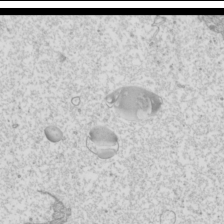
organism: Mouse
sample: Cilia; mouse epididymis